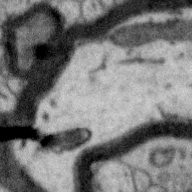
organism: Zebra finch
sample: Brain